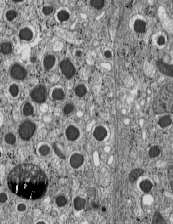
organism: C57BL Mouse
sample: Pancreatic islet